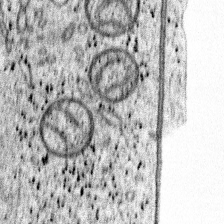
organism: Human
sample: HeLa cells